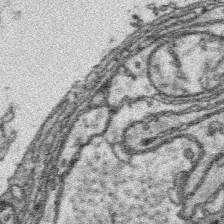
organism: Platynereis dumerilii